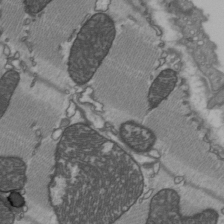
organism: C57BL Mouse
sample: Heart